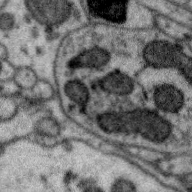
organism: Zebra finch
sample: Brain